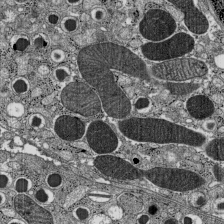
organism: C57BL Mouse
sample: Pancreatic islet